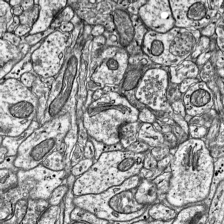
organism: Mouse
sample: Visual Cortex